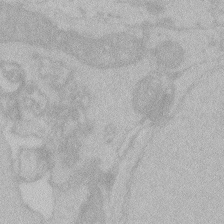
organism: Zebrafish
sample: Macrophage infected with Toxoplasma gondii